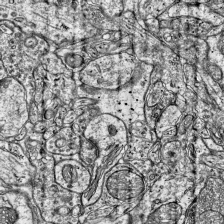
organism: Mouse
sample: Visual Cortex